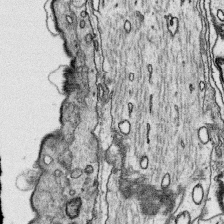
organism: Platynereis dumerilii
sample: Parapodia